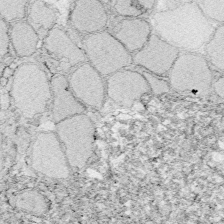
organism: Zebrafish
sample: Whole-Brain